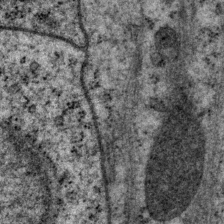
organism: P. pacificus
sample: Pharynx